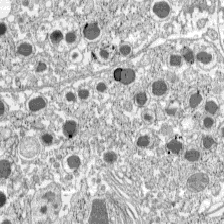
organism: C57BL Mouse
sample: Pancreatic islet